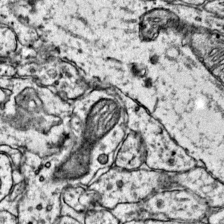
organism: Mouse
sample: Primary visual cortex